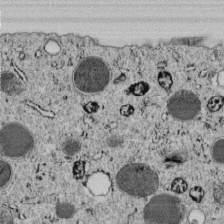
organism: C. elegans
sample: C. elegans embryo early stage